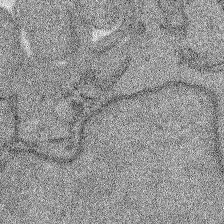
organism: Human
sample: HeLa cells